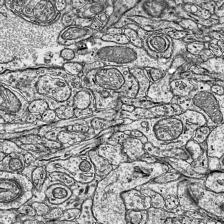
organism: Mouse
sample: Visual Cortex